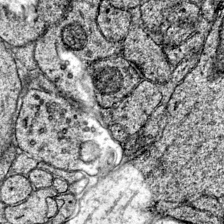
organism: Mouse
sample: Primary visual cortex